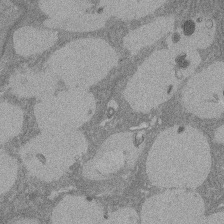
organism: Rat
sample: Salivary granule